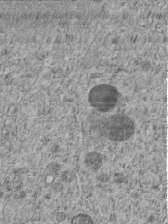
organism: C. elegans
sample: C. elegans embryo early stage